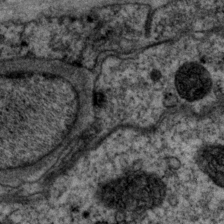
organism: P. pacificus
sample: Pharynx